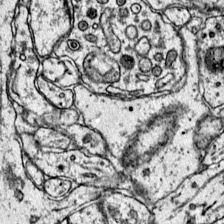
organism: Mouse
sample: Primary visual cortex